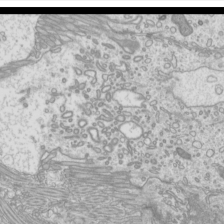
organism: Mouse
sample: Cilia; mouse epididymis